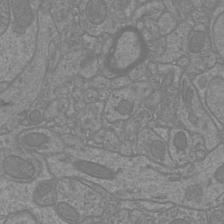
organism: Mouse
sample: Cortical neurons